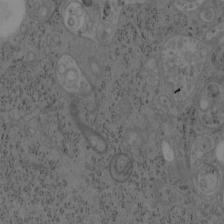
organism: Mouse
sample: OT-I killer T cells with ID8 ovarian cancer cells